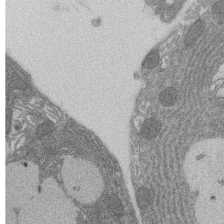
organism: Rat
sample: Salivary granule